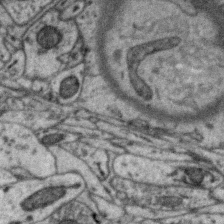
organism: Zebra finch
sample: Brain